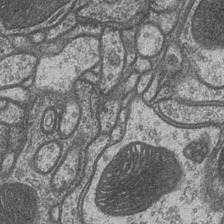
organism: Drosophila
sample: Optic medulla